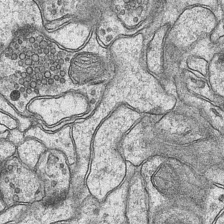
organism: Mouse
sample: CA1 Hippocampus